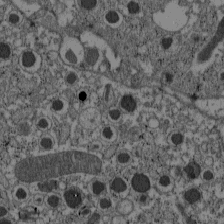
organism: C57BL Mouse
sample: Pancreatic islet